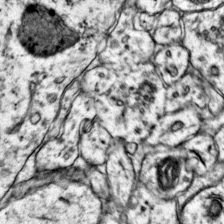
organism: Mouse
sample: Primary visual cortex